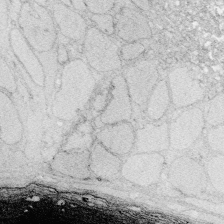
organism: Zebrafish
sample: Whole-Brain